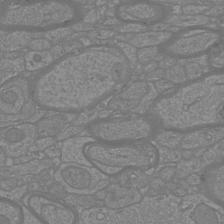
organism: Mouse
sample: Cortical neurons